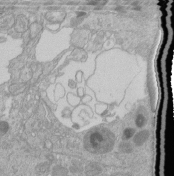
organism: Human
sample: Retinal organoid Rod and Cone cells